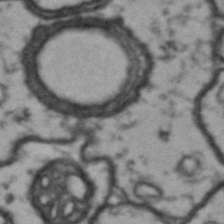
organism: Drosophila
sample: Brain